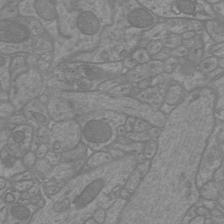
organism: Mouse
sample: Cortical neurons